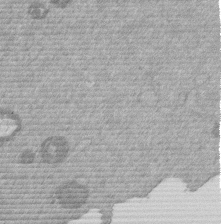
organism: Mouse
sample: Dividing mouse embryo 1 cell stage